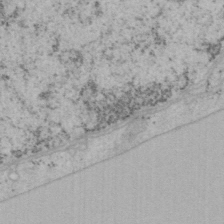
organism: Human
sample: HeLa cells